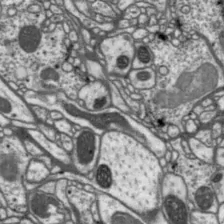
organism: Drosophila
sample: Protocerebral bridge